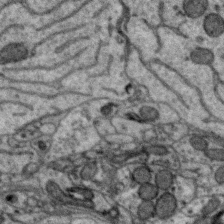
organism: Zebra finch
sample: Brain